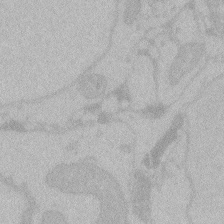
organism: Zebrafish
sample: Macrophage infected with Toxoplasma gondii